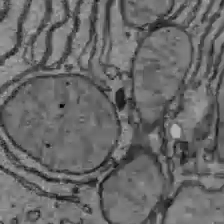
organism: C57BL Mouse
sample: Liver